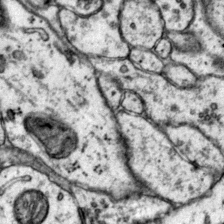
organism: Mouse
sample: Primary visual cortex